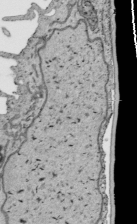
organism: Human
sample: Mitochondria in HCT116 cells